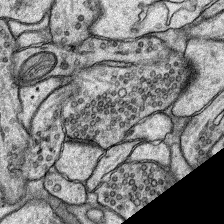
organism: Rat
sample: Hippocampus